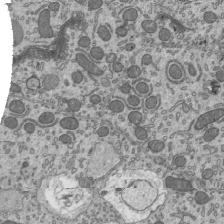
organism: Mouse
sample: Mouse epididymis efferent ductule cilia